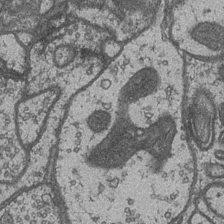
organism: Drosophila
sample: Optic medulla